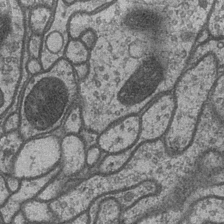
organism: Drosophila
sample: Optic medulla